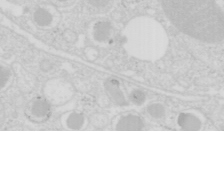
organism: Mouse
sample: Pancreas